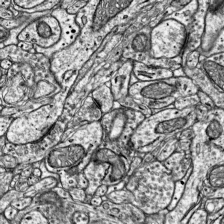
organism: Mouse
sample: Visual Cortex